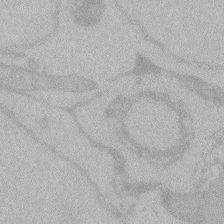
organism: Zebrafish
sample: Macrophage infected with Toxoplasma gondii